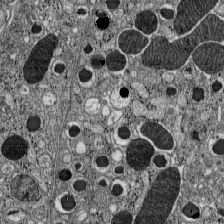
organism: C57BL Mouse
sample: Pancreatic islet